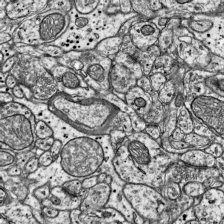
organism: Mouse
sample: Visual Cortex